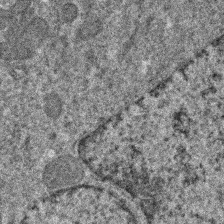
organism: Human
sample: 1205lu cells